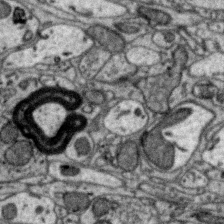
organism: Zebra finch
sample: Brain